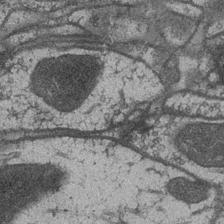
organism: Drosophila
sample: Optic medulla